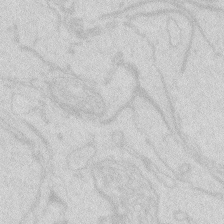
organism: Zebrafish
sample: Macrophage